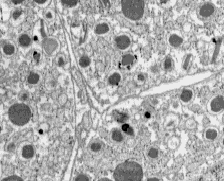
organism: C57BL Mouse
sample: Pancreatic islet